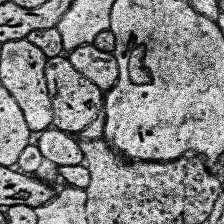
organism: Human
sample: Temporal Lobe